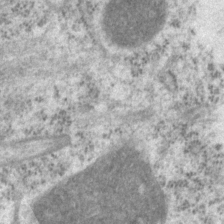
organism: P. pacificus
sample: Pharynx